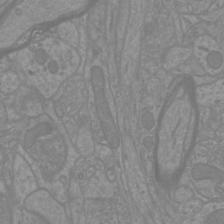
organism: Mouse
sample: Cortical neurons